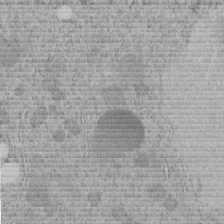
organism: C. elegans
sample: C. elegans embryo early stage